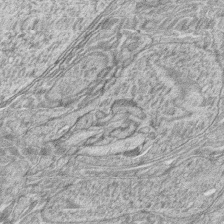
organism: Zebrafish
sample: synaptic ribbons in rod cells and cone cells